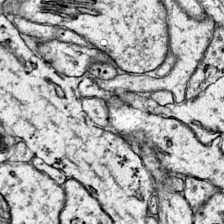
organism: Mouse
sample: Primary visual cortex